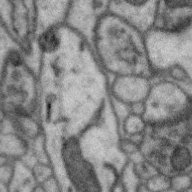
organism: Zebra finch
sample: Brain